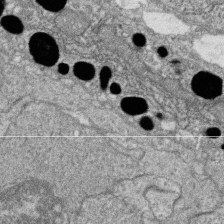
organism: Zebrafish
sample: Cilia; retinal pigment epithelium